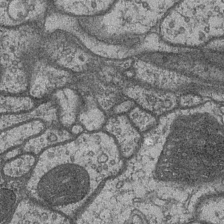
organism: Drosophila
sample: Optic medulla